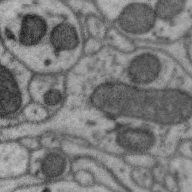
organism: Zebra finch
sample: Brain